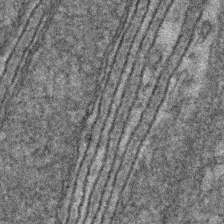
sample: Kidney